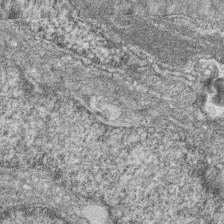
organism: Zebrafish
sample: Cilia; retinal pigment epithelium